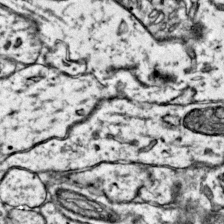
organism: Mouse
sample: Primary visual cortex